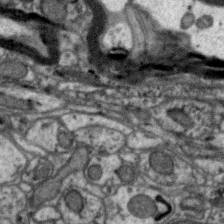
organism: Zebra finch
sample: Brain